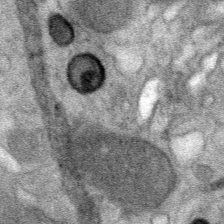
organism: Mouse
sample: Mouse Salivary gland